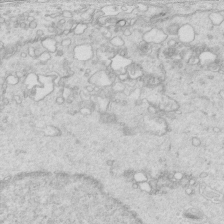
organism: Mouse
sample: Multiciliated cells